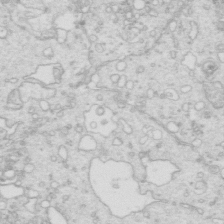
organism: Mouse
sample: Multiciliated cells